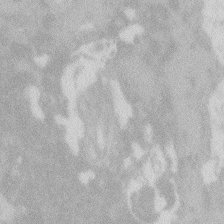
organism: Zebrafish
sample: Macrophage